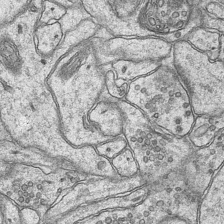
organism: Mouse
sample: CA1 Hippocampus